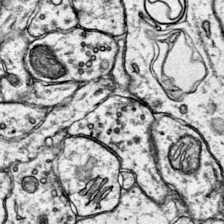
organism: Mouse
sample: Primary visual cortex